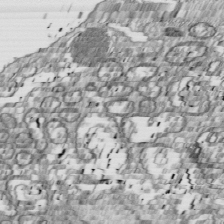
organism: Drosophila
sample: Cell division; meiosis; drosophila spermatocytes